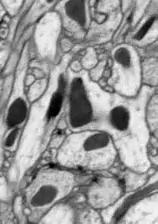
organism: Drosophila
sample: Optic lobe